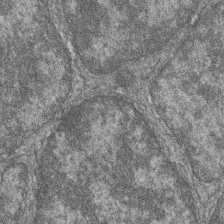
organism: Zebrafish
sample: Cilia; retinal pigment epithelium